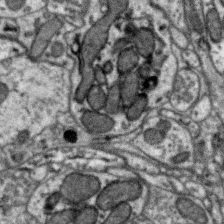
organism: Zebra finch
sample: Brain